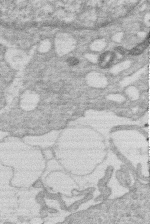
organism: Human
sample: Macrophage cells